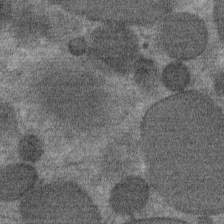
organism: Mouse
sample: Mouse Salivary gland